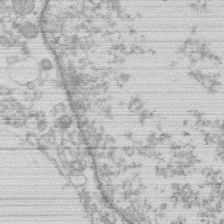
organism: Human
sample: Macrophage cells